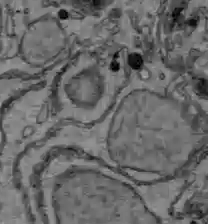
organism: C57BL Mouse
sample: Liver